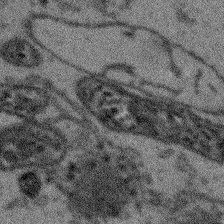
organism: Arabidopsis thaliana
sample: Root tip